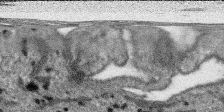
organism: Human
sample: Lung epithelial cells infected with SARS-CoV-2